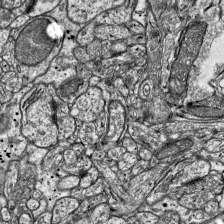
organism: Mouse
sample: Visual Cortex